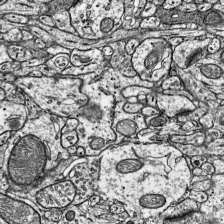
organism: Mouse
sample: Visual Cortex